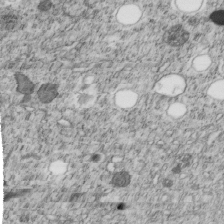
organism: C. elegans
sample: C. elegans embryo early stage